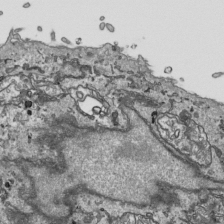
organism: Human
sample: Mitochondria in HCT116 cells